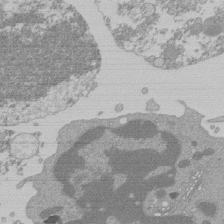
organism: Mouse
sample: Activated Pmel transgenic CD8+ T Cells